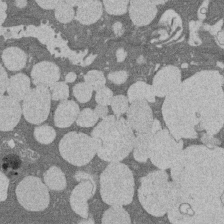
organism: Rat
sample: Salivary granule